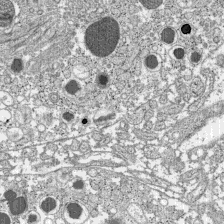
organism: C57BL Mouse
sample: Pancreatic islet